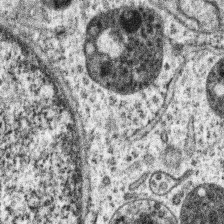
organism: Human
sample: HeLa cells